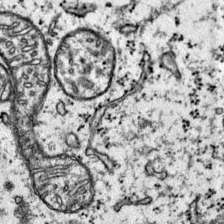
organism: Mouse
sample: Primary visual cortex